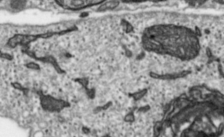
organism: Toxoplasma gondii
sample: Parasites in a vacuole inside a host cell